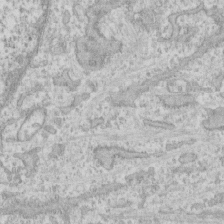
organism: Human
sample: CRL-1474